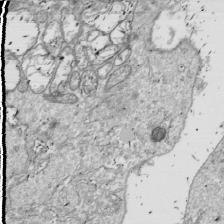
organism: Drosophila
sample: Cell division; meiosis; drosophila spermatocytes